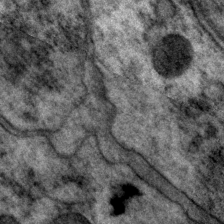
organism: P. pacificus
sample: Pharynx